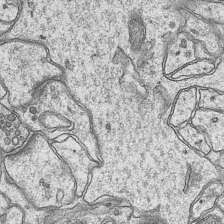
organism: Mouse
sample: CA1 Hippocampus